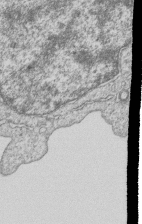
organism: Human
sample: MDA-MB-231 cells